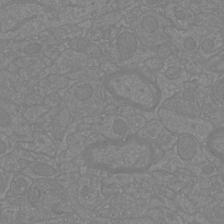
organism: Mouse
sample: Cortical neurons